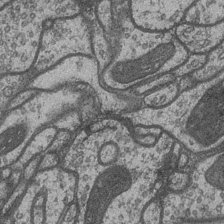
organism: Drosophila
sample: Optic medulla